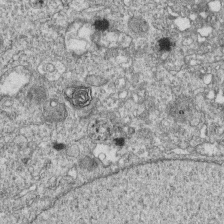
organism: Human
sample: HeLa cell HIV synapse